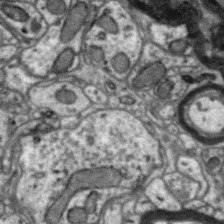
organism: Zebra finch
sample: Brain